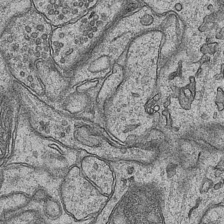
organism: Mouse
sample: CA1 Hippocampus